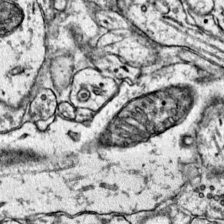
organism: Mouse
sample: Primary visual cortex